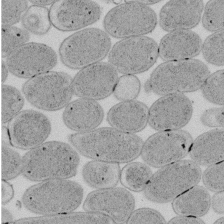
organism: E. coli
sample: Bacterial nucleoid